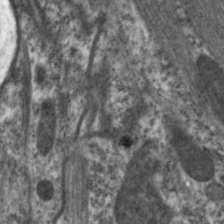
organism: C. elegans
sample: Pharynx